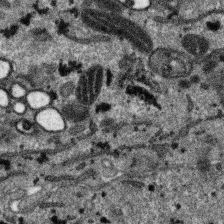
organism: Human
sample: Lung epithelial cells infected with SARS-CoV-2